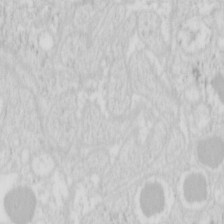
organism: Mouse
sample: Pancreas